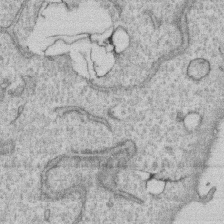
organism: Human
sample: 1205lu cells